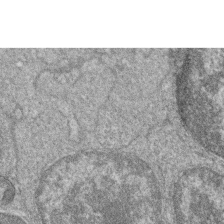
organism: Zebrafish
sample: Cilia; retinal pigment epithelium